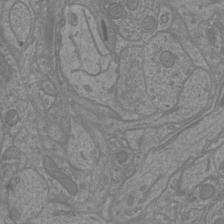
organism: Mouse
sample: Cortical neurons